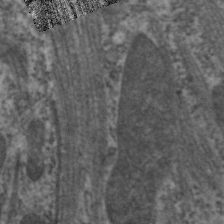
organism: C. elegans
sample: Pharynx